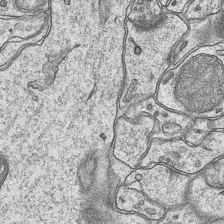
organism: Mouse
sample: CA1 Hippocampus